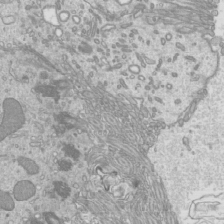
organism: Mouse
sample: Cilia; mouse epididymis